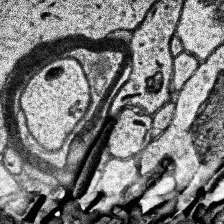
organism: Human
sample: Temporal Lobe